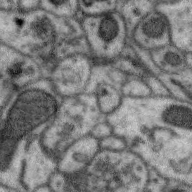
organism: Zebra finch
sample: Brain